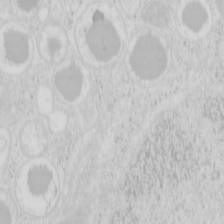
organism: Mouse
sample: Pancreas